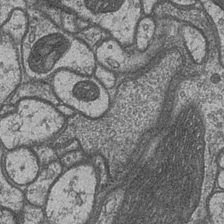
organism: Drosophila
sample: Optic medulla